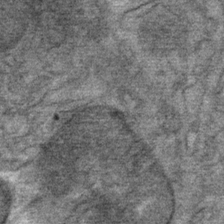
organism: Mouse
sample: Mouse Salivary gland